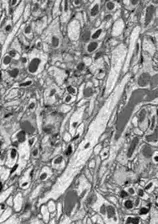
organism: Drosophila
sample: Optic lobe